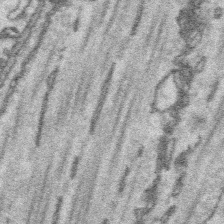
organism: Platynereis dumerilii